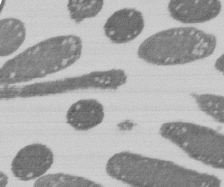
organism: E. coli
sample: Bacterial nucleoid